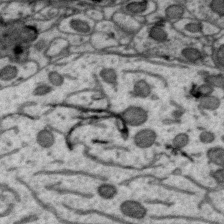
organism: Zebra finch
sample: Brain